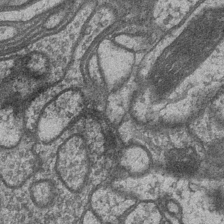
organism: Drosophila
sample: Optic medulla